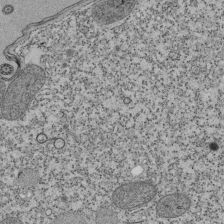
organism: Tetrahymena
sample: Cilia in tetrahymena